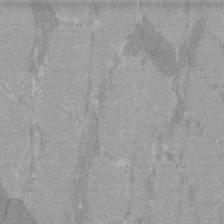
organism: C57BL Mouse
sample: Tibialis anterior muscle cell